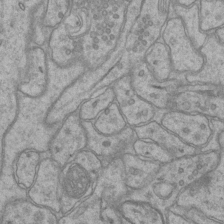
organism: Mouse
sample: CA1 Hippocampus